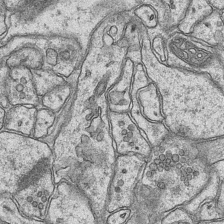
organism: Mouse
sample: CA1 Hippocampus